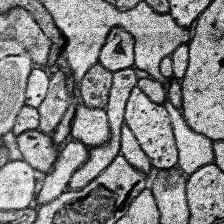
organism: Human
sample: Temporal Lobe